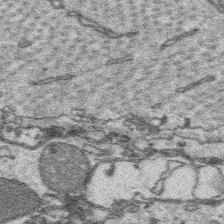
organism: Platynereis dumerilii